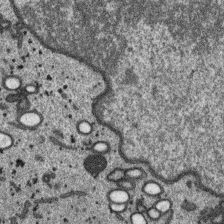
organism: Human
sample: Lung epithelial cells infected with SARS-CoV-2